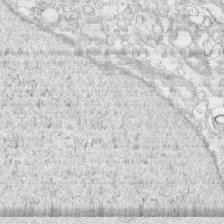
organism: Human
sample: CRL-1474